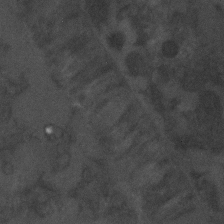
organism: C. elegans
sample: C. elegans embryo